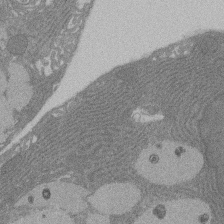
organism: Rat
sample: Salivary granule